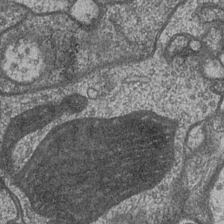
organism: Drosophila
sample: Optic medulla